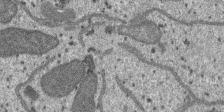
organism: Human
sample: Lung epithelial cells infected with SARS-CoV-2